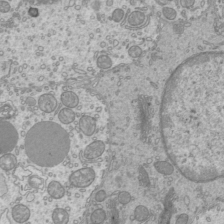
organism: Mouse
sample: Cilia; mouse epididymis